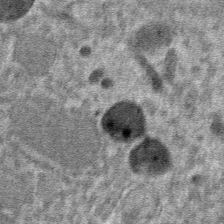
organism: Mouse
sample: Mouse hepatocytes